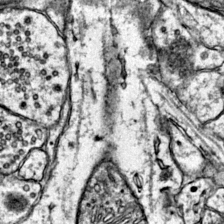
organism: Mouse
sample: Primary visual cortex